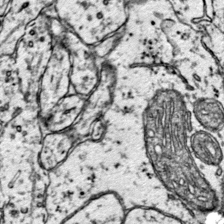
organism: Mouse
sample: Primary visual cortex